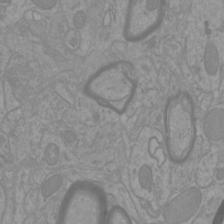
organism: Mouse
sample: Cortical neurons